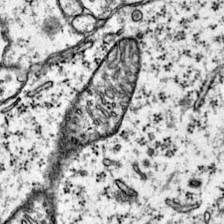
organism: Mouse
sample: Primary visual cortex